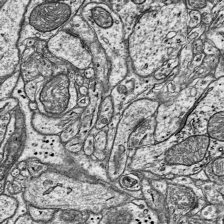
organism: Mouse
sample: Visual Cortex